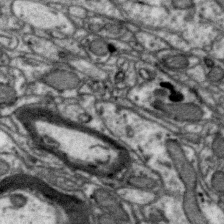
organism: Zebra finch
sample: Brain